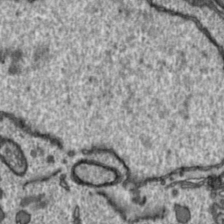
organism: Toxoplasma gondii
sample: Parasites in a vacuole inside a host cell